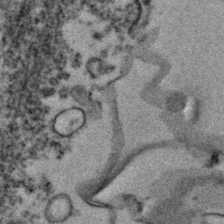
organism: Zebrafish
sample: Zebrafish embryo